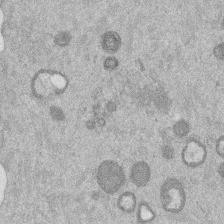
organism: Mouse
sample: Dividing mouse embryo 1 cell stage